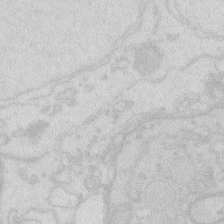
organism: Zebrafish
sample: Macrophage